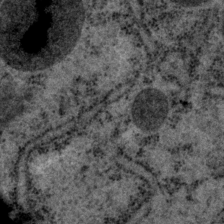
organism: P. pacificus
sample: Pharynx